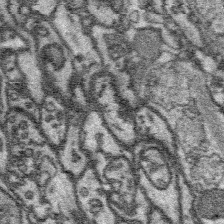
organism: Platynereis dumerilii